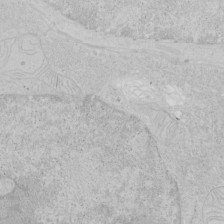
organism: Human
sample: Mitochondria in HCT116 cells